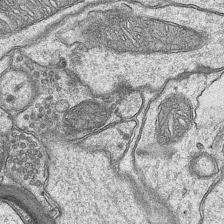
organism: Mouse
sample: CA1 Hippocampus